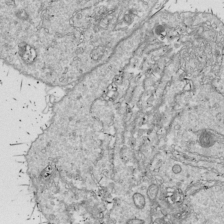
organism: Drosophila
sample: Cell division; meiosis; drosophila spermatocytes